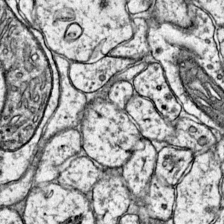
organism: Mouse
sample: Primary visual cortex